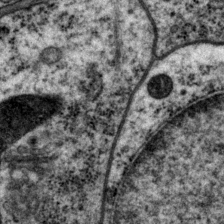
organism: P. pacificus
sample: Pharynx